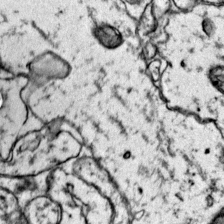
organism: Mouse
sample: Primary visual cortex